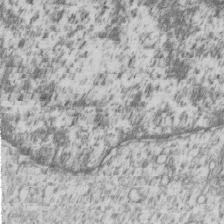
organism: Human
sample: MDA-MB-231 cells